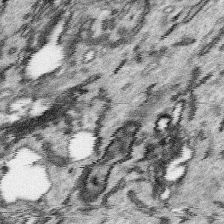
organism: Human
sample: HeLa cells